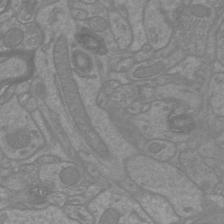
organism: Mouse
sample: Cortical neurons